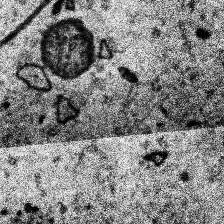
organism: Human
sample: Temporal Lobe